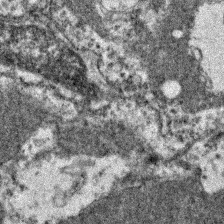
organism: Zebrafish